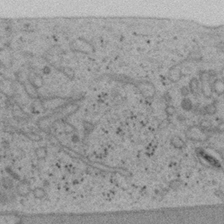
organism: Human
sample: HeLa cells